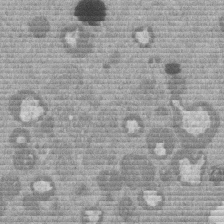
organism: Mouse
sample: Dividing mouse embryo 1 cell stage